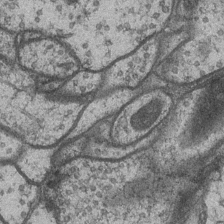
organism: Drosophila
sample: Optic medulla